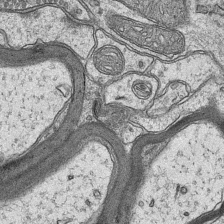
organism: Mouse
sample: CA1 Hippocampus